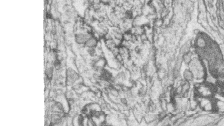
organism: Zebrafish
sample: synaptic ribbons in rod cells and cone cells